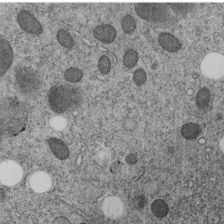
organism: C. elegans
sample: C. elegans embryo early stage